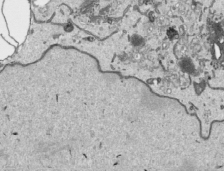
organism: Human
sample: Mitochondria in HCT116 cells